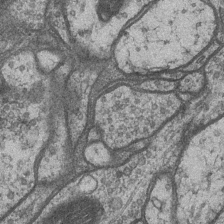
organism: Drosophila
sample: Optic medulla